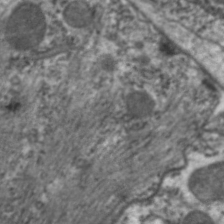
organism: C. elegans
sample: Pharynx